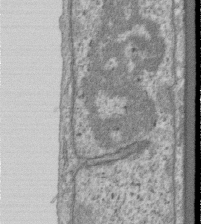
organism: Human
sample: Centriole in RPE cells